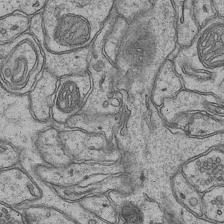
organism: Mouse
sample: CA1 Hippocampus